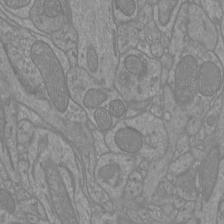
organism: Mouse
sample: Cortical neurons